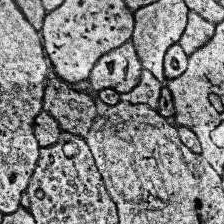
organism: Human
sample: Temporal Lobe